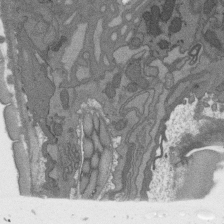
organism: C. elegans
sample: AFD neurons C. elegans